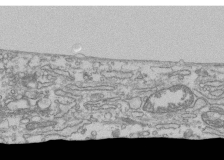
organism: Human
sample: Fibroblast cells